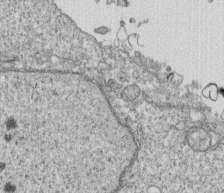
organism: Human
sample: HeLa cell HIV synapse